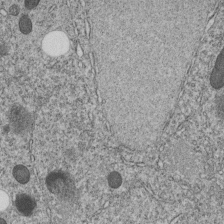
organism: C. elegans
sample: C. elegans embryo early stage